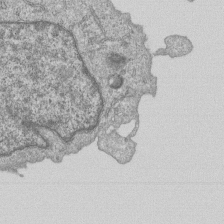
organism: Human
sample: MDA-MB-231 cells